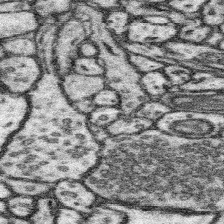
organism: Mouse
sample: Somatosensory cortex neuropil